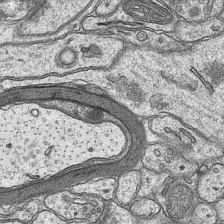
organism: Mouse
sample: CA1 Hippocampus